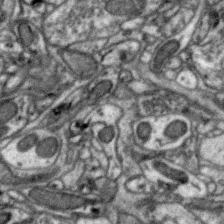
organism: Zebra finch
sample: Brain